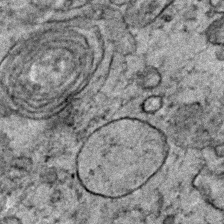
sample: Trachea